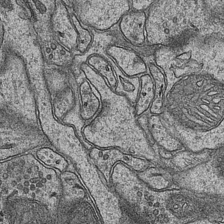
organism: Mouse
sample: CA1 Hippocampus